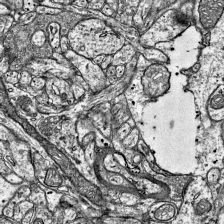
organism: Mouse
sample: Visual Cortex